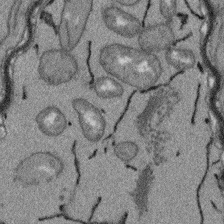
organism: Arabidopsis thaliana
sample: Root tip